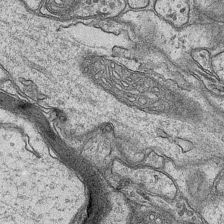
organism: Mouse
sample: CA1 Hippocampus